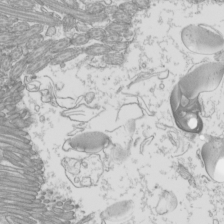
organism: Mouse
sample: Cilia; mouse epididymis